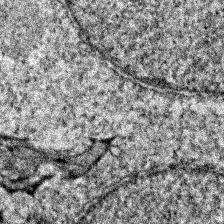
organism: Zebrafish